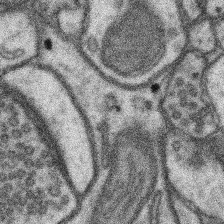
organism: Mouse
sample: Somatosensory cortex neuropil